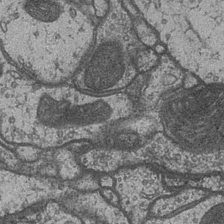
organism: Drosophila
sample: Optic medulla